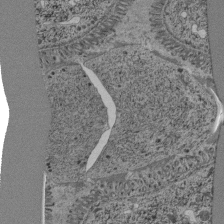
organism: C. elegans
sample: C. elegans pharynx